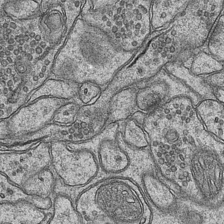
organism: Mouse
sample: CA1 Hippocampus